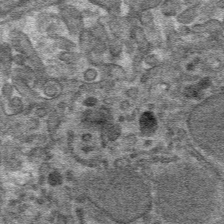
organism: Mouse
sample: Mouse hepatocytes